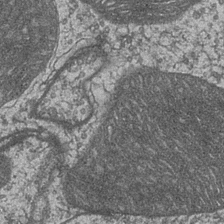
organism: Drosophila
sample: Optic medulla